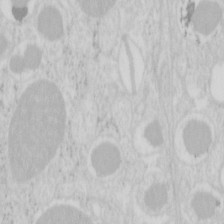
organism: Mouse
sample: Pancreas